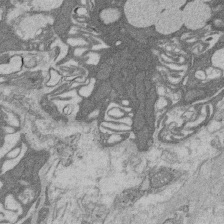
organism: Rat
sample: Salivary granule